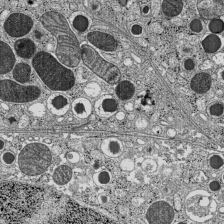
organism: C57BL Mouse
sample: Pancreatic islet